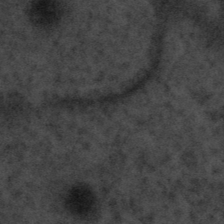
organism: Tuwongella immobilis